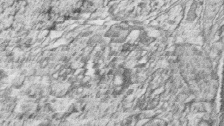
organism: Zebrafish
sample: synaptic ribbons in rod cells and cone cells